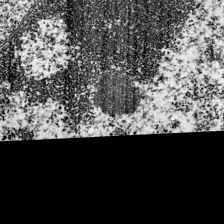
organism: Mouse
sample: Visual Cortex